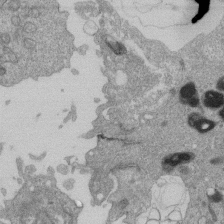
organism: Human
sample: Retinal organoid Rod and Cone cells